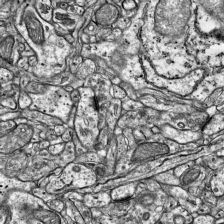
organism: Mouse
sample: Visual Cortex